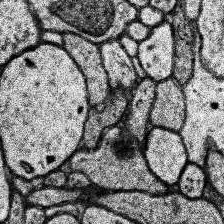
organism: Human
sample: Temporal Lobe